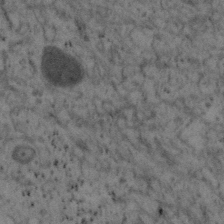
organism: Human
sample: HeLa cells